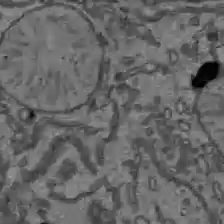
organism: C57BL Mouse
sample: Liver